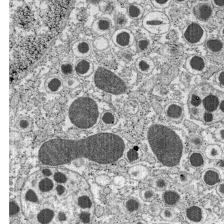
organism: C57BL Mouse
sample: Pancreatic islet